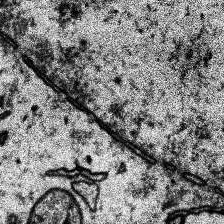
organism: Human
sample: Temporal Lobe